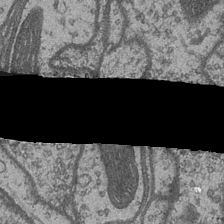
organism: Drosophila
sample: Optic medulla